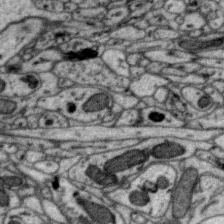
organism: Zebra finch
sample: Brain